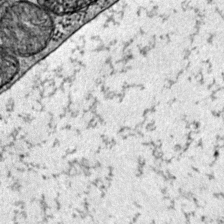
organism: Mouse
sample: Primary visual cortex